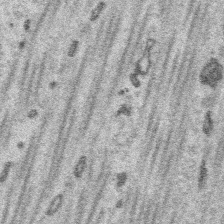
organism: Platynereis dumerilii